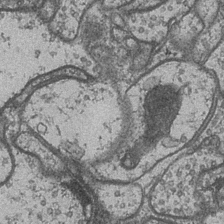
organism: Drosophila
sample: Optic medulla